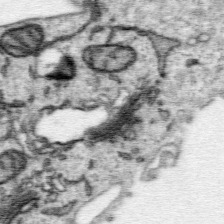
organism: Human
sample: HeLa cells